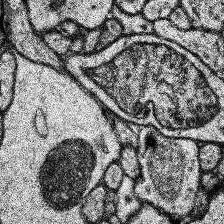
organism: Human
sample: Temporal Lobe